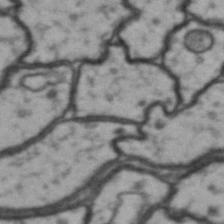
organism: Drosophila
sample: Brain